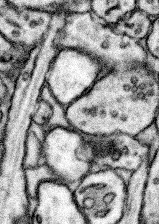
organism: Mouse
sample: Somatosensory cortex neuropil